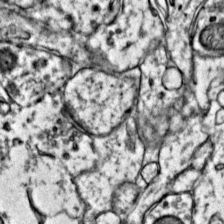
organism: Mouse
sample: Primary visual cortex